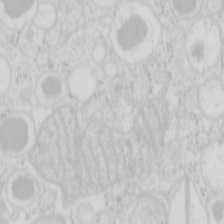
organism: Mouse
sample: Pancreas